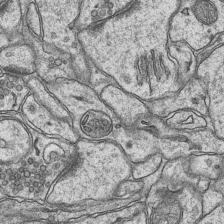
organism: Mouse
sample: CA1 Hippocampus